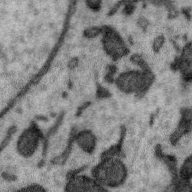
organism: Zebra finch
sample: Brain